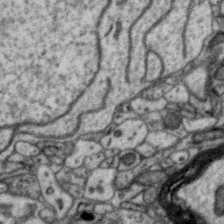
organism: Zebra finch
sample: Brain